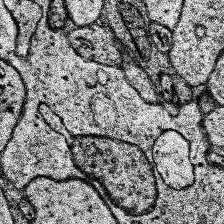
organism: Human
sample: Temporal Lobe